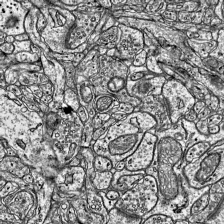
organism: Mouse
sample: Visual Cortex